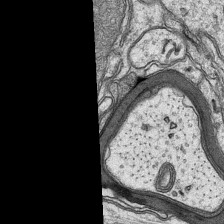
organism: Mouse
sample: CA1 Hippocampus